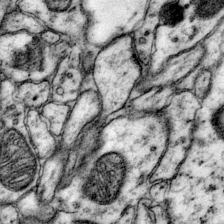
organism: Mouse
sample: Primary visual cortex